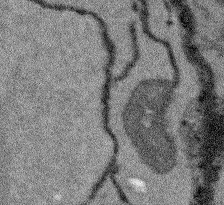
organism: Arabidopsis thaliana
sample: Root tip